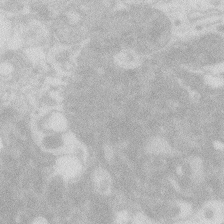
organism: Zebrafish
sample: Macrophage